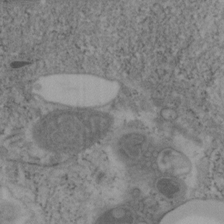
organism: Mouse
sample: OT-I killer T cells with ID8 ovarian cancer cells